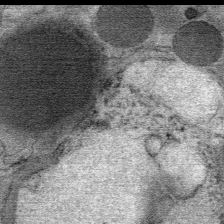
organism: Mouse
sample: Mouse Salivary gland